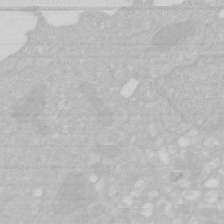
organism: Human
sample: HIV infected U937 cells